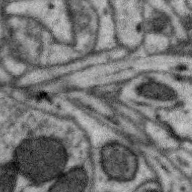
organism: Zebra finch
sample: Brain